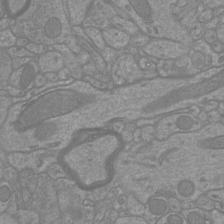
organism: Mouse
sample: Cortical neurons